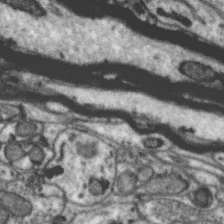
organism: Zebra finch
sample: Brain